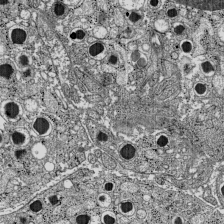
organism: C57BL Mouse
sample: Pancreatic islet